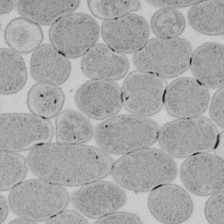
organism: E. coli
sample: Bacterial nucleoid